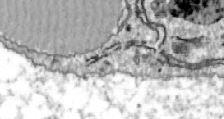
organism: Zebrafish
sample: Actinotrichia fibers